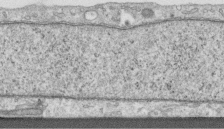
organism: Human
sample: Centriole in RPE cells